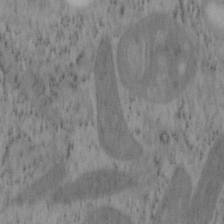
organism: Mouse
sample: OT-I killer T cells with ID8 ovarian cancer cells